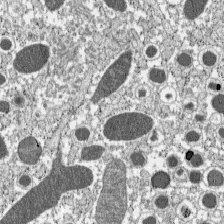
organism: C57BL Mouse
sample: Pancreatic islet